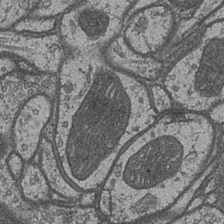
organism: Drosophila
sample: Optic medulla